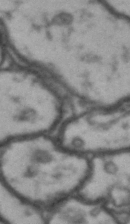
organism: Drosophila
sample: Brain